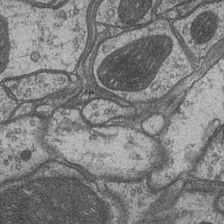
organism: Drosophila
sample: Optic medulla